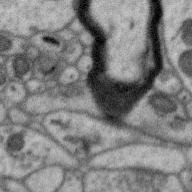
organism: Zebra finch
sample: Brain